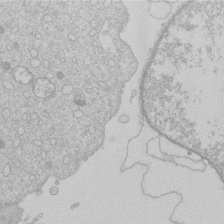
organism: Human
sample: Macrophage cells